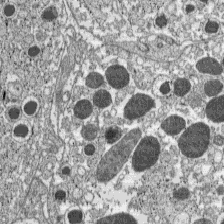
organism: C57BL Mouse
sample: Pancreatic islet